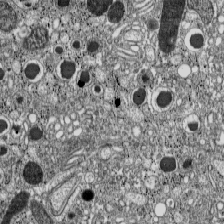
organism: C57BL Mouse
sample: Pancreatic islet